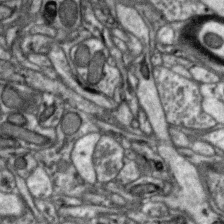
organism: Zebra finch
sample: Brain